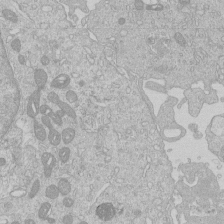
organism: Human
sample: Macrophage cells